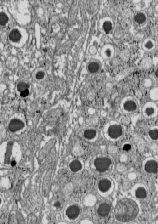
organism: C57BL Mouse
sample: Pancreatic islet